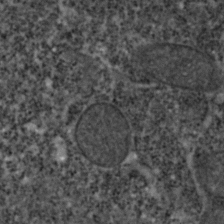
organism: Zebrafish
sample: Zebrafish embryo